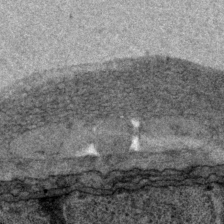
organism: P. pacificus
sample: Pharynx